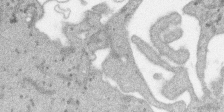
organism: Human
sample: Lung epithelial cells infected with SARS-CoV-2